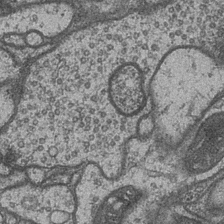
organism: Drosophila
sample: Optic medulla